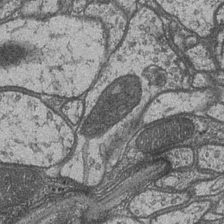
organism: Drosophila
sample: Optic medulla